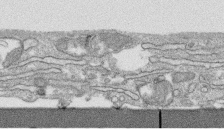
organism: Human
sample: CRL-1474